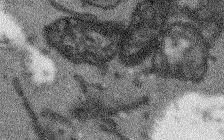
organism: Arabidopsis thaliana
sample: Root tip